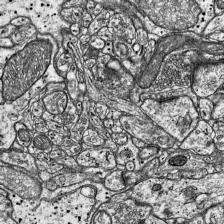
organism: Mouse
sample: Visual Cortex